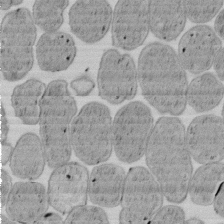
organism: E. coli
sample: Bacterial nucleoid